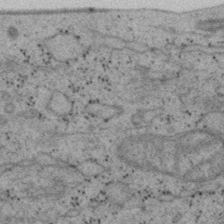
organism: Human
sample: HeLa cells